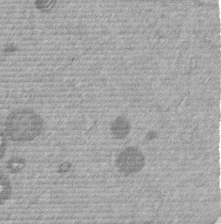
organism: Mouse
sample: Dividing mouse embryo 1 cell stage